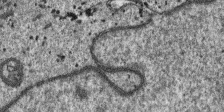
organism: Human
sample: Lung epithelial cells infected with SARS-CoV-2